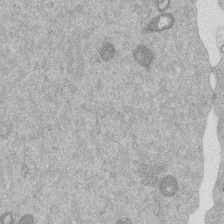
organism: Mouse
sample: Dividing mouse embryo 1 cell stage